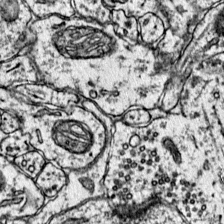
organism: Mouse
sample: Primary visual cortex